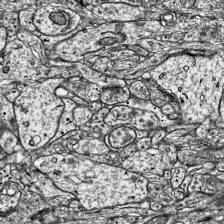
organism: Mouse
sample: Visual Cortex